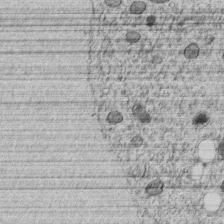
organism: C. elegans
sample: C. elegans embryo early stage